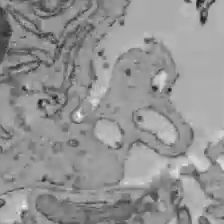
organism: C57BL Mouse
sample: Liver